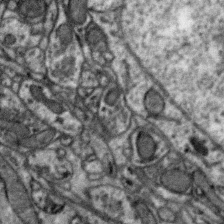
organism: Zebra finch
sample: Brain